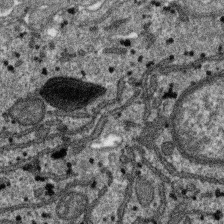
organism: Human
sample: Lung epithelial cells infected with SARS-CoV-2